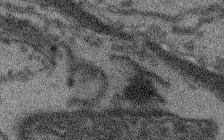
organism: Arabidopsis thaliana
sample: Root tip